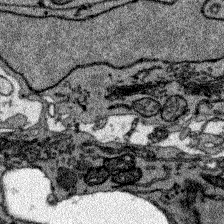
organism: Zebrafish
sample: Larval olfactory bulb